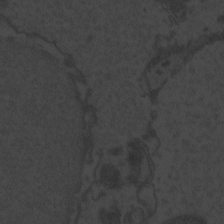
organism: Zebrafish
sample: Macrophage infected with Toxoplasma gondii